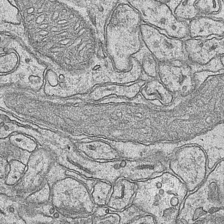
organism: Mouse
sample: CA1 Hippocampus